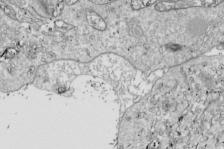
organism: Drosophila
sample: Cell division; meiosis; drosophila spermatocytes